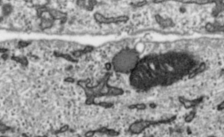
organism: Toxoplasma gondii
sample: Parasites in a vacuole inside a host cell